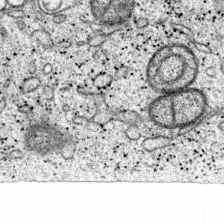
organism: Human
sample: HeLa cells